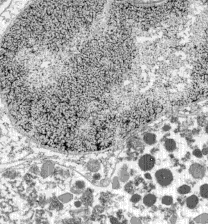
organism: C57BL Mouse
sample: Pancreatic islet